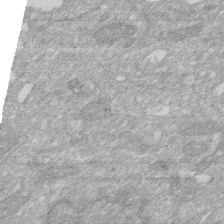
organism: Human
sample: HIV infected U937 cells